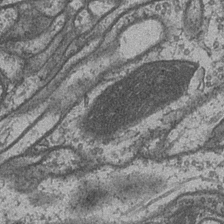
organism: Drosophila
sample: Optic medulla